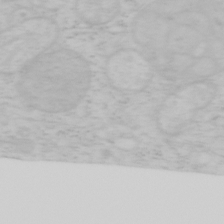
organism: Mouse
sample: OT-I killer T cells with ID8 ovarian cancer cells